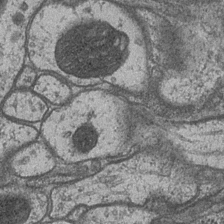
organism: Drosophila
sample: Optic medulla